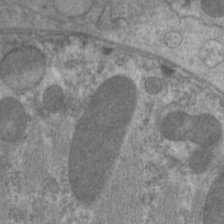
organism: C. elegans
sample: Pharynx